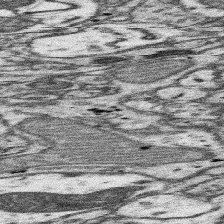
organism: Mouse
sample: Somatosensory cortex neuropil